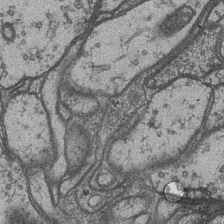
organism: Drosophila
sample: Optic medulla